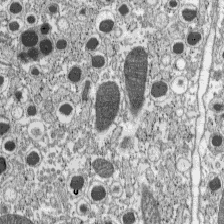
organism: C57BL Mouse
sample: Pancreatic islet